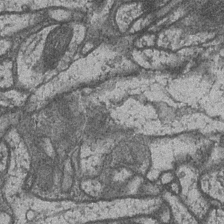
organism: Drosophila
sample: Optic medulla